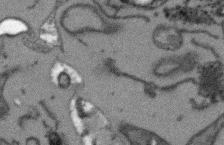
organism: Arabidopsis thaliana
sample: Root tip